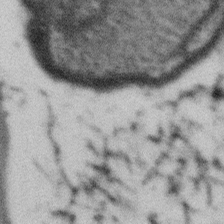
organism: Gemmata obscuriglobus